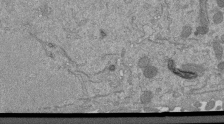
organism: Mouse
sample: ED-1 cell nuclei; centrioles